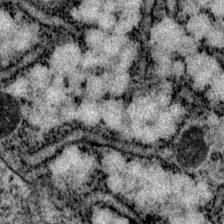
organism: P. pacificus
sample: Pharynx